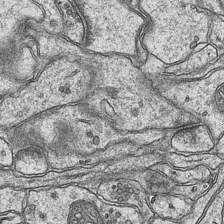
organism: Mouse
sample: CA1 Hippocampus